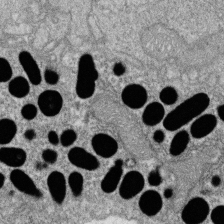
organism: Zebrafish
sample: Cilia; retinal pigment epithelium